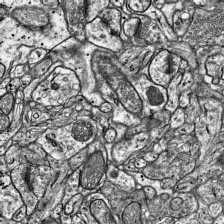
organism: Mouse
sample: Visual Cortex